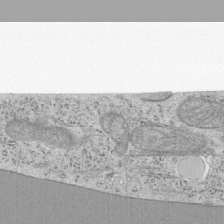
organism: Human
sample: HeLa cells